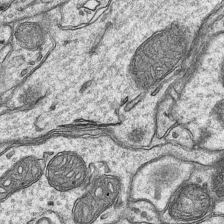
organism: Mouse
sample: CA1 Hippocampus